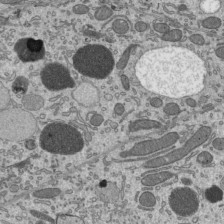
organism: Mouse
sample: Mouse epididymis efferent ductule cilia